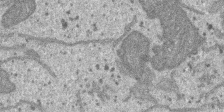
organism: Human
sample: Lung epithelial cells infected with SARS-CoV-2